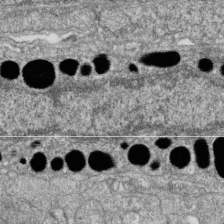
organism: Zebrafish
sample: Cilia; retinal pigment epithelium